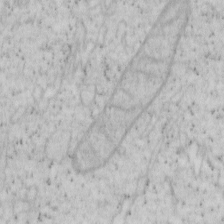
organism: Human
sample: HeLa cells